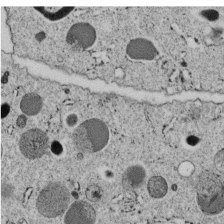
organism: C. elegans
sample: C. elegans embryo early stage